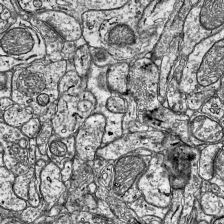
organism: Mouse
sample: Visual Cortex